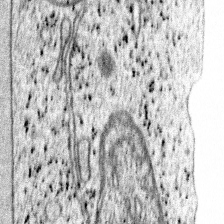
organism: Human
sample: HeLa cells